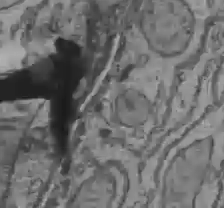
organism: C57BL Mouse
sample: Liver